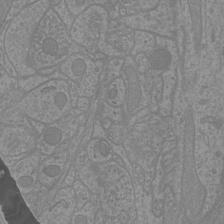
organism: Mouse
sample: Cortical neurons